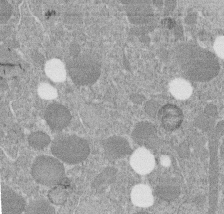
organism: C. elegans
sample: C. elegans embryo early stage